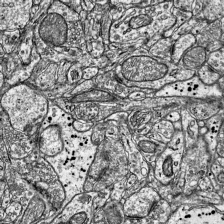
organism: Mouse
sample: Visual Cortex